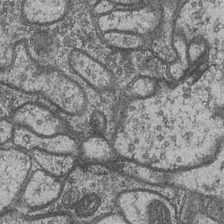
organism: Drosophila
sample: Optic medulla